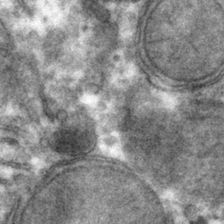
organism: Mouse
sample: Mouse hepatocytes